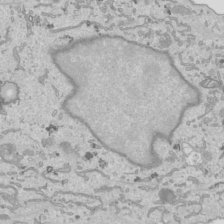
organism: Human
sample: Mitochondria in HCT116 cells